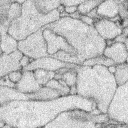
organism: Rabbit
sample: Retina